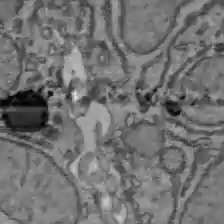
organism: C57BL Mouse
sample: Liver